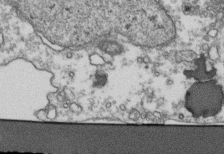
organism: Human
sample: Activated Jurkat CD4+ T cells